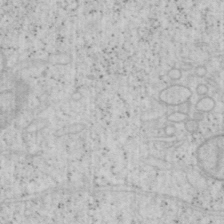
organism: Human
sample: HeLa cells